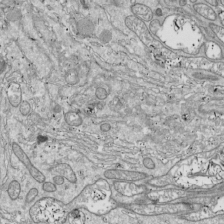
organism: Drosophila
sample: Cell division; meiosis; drosophila spermatocytes